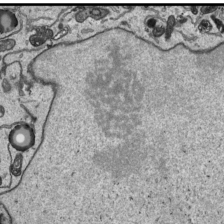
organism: Human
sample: Mitochondria in HCT116 cells